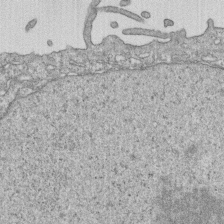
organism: Human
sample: HeLa cell HIV synapse